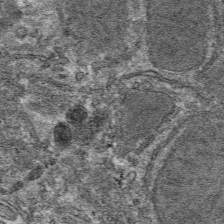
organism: Mouse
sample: Mouse hepatocytes